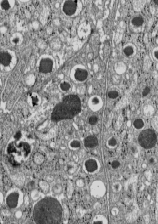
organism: C57BL Mouse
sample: Pancreatic islet